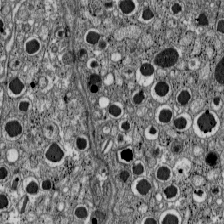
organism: C57BL Mouse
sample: Pancreatic islet